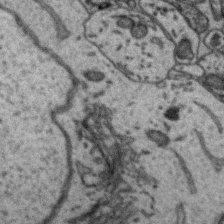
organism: Zebra finch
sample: Brain